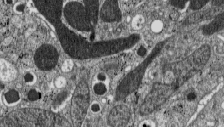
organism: C57BL Mouse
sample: Pancreatic islet